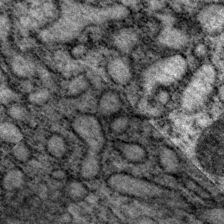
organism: P. pacificus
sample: Pharynx